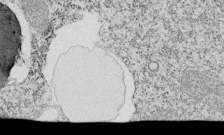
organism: Tetrahymena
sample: Cilia in tetrahymena